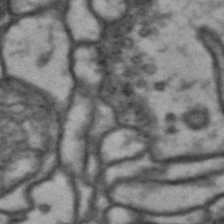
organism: Drosophila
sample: Brain